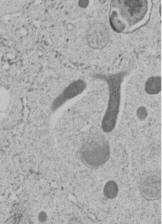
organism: C. elegans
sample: C. elegans embryo early stage